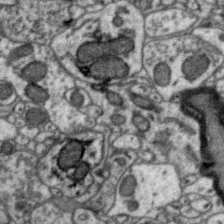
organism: Zebra finch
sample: Brain